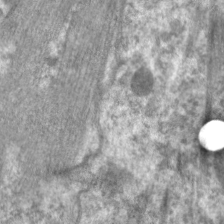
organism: C. elegans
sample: Pharynx